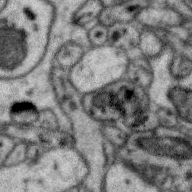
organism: Zebra finch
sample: Brain